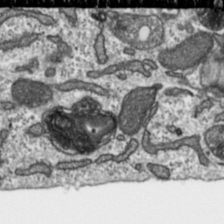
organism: Toxoplasma gondii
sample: Parasites in a vacuole inside a host cell